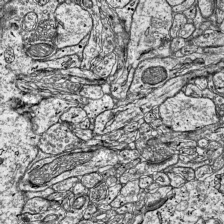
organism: Mouse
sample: Visual Cortex